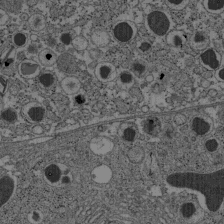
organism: C57BL Mouse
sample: Pancreatic islet